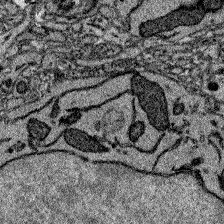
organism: Zebrafish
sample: Larval olfactory bulb